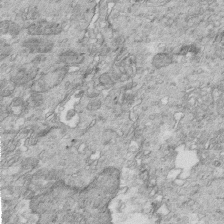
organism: Mouse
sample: Multiciliated cells